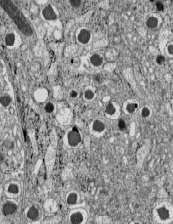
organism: C57BL Mouse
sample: Pancreatic islet